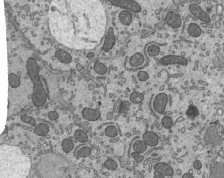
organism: Mouse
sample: Mouse epididymis efferent ductule cilia